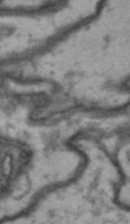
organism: Drosophila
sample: Brain